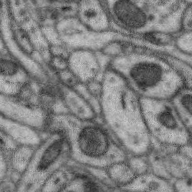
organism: Zebra finch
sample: Brain